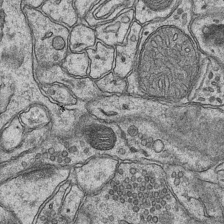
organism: Mouse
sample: CA1 Hippocampus